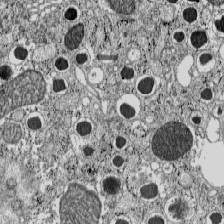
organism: C57BL Mouse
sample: Pancreatic islet